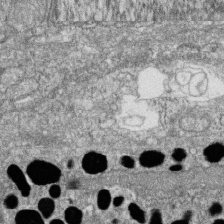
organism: Zebrafish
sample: Cilia; retinal pigment epithelium